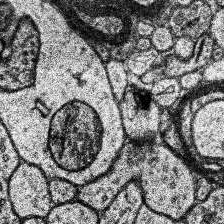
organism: Human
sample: Temporal Lobe